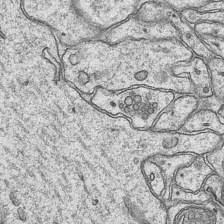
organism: Mouse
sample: CA1 Hippocampus